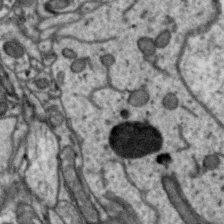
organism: Zebra finch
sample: Brain